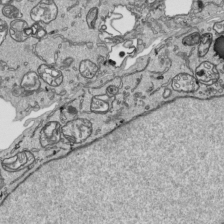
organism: Human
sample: Mitochondria in HCT116 cells